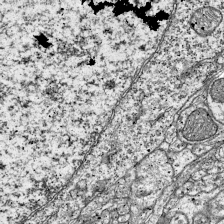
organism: Mouse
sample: Visual Cortex